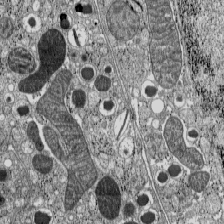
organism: C57BL Mouse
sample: Pancreatic islet